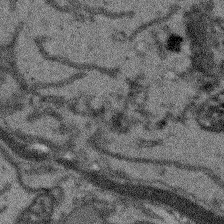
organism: Arabidopsis thaliana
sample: Root tip